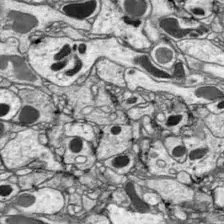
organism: Drosophila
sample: Optic lobe